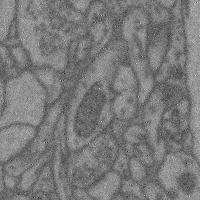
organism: Mouse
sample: Cerebral cortex